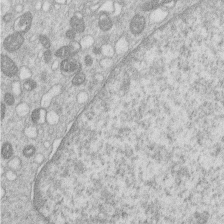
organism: Human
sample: Macrophage cells